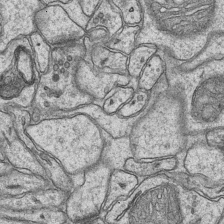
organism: Mouse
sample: CA1 Hippocampus